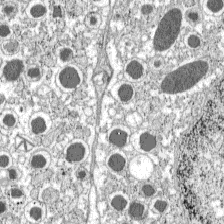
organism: C57BL Mouse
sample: Pancreatic islet